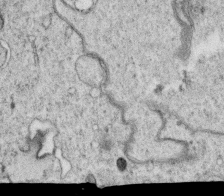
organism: C. elegans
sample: C. elegans oocyte; sperm cells